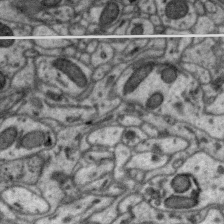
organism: Zebra finch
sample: Brain